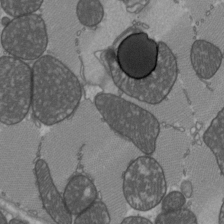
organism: C57BL Mouse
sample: Heart